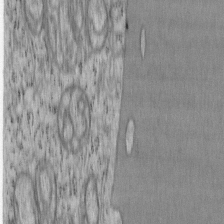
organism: Human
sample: HeLa cells